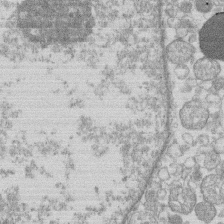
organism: Human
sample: Macrophage cells